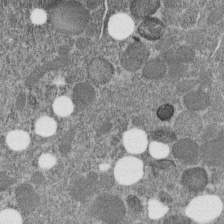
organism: C. elegans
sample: C. elegans embryo early stage